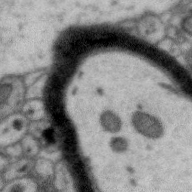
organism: Zebra finch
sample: Brain